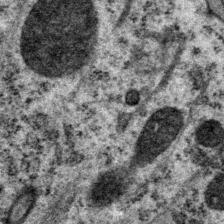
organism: P. pacificus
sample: Pharynx